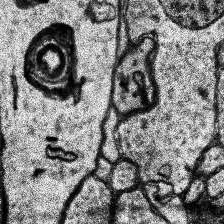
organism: Human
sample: Temporal Lobe